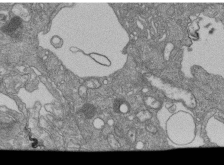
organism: Human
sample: Retinal organoid Rod and Cone cells